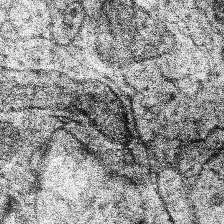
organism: Human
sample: Temporal Lobe